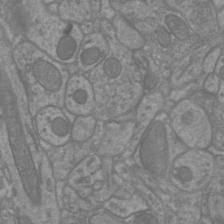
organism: Mouse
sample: Cortical neurons